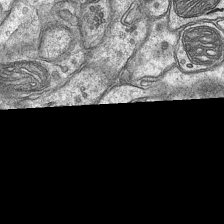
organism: Mouse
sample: CA1 Hippocampus